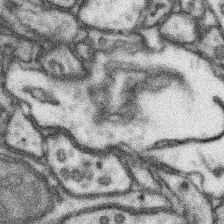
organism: Mouse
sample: Somatosensory cortex neuropil